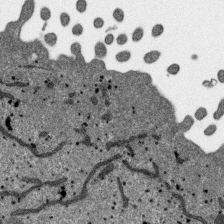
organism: Human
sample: Lung epithelial cells, uninfected (mock) control